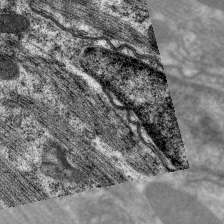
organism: C. elegans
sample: Pharynx